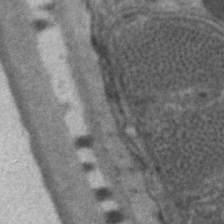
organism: C. elegans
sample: Pharynx